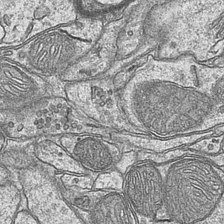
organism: Mouse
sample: CA1 Hippocampus